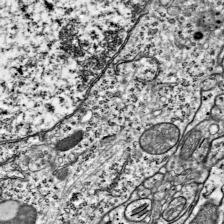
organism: Mouse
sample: Visual Cortex